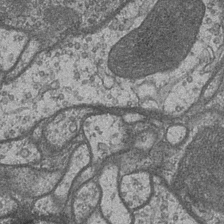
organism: Drosophila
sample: Optic medulla